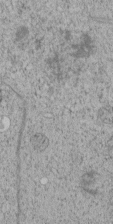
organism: C. elegans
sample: C. elegans embryo early stage